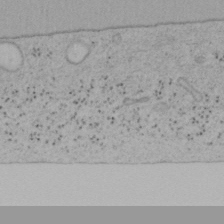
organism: Human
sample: HeLa cells